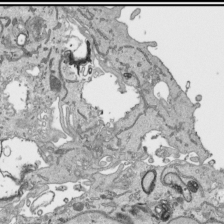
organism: Human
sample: Mitochondria in HCT116 cells